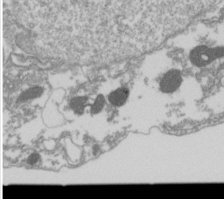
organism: Drosophila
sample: Cell division; meiosis; drosophila spermatocytes